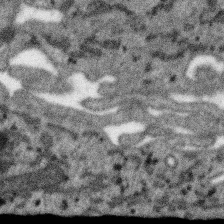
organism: Human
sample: Lung epithelial cells infected with SARS-CoV-2